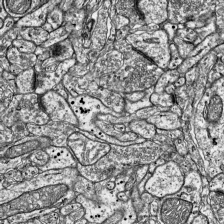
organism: Mouse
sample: Visual Cortex